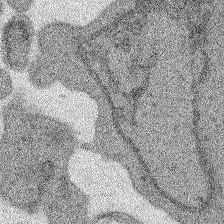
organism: Human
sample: HeLa cells